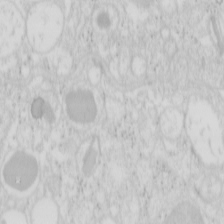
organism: Mouse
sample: Pancreas